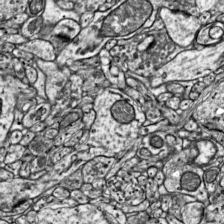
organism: Mouse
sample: Visual Cortex